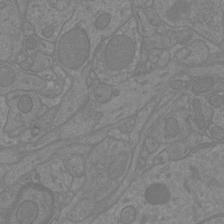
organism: Mouse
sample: Cortical neurons